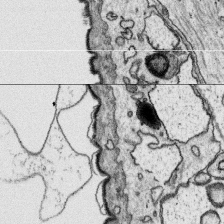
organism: Platynereis dumerilii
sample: Parapodia